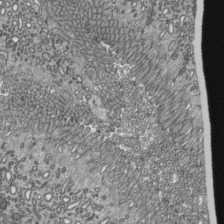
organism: Mouse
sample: Mouse epididymis efferent ductule cilia